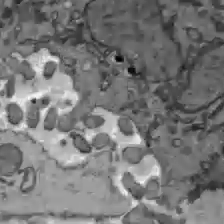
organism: C57BL Mouse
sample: Liver